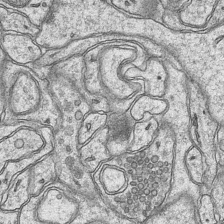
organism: Mouse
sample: CA1 Hippocampus